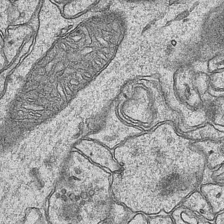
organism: Mouse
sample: CA1 Hippocampus